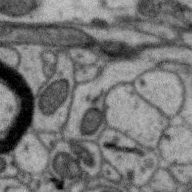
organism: Zebra finch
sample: Brain